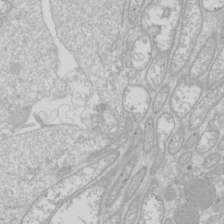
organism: Drosophila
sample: Cell division; meiosis; drosophila spermatocytes